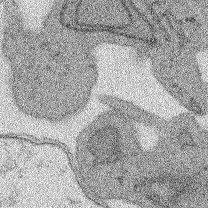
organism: Human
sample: HeLa cells